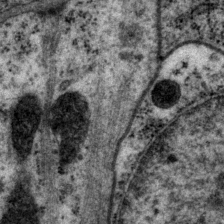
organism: P. pacificus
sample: Pharynx